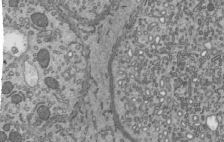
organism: Mouse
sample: Mouse epididymis efferent ductule cilia